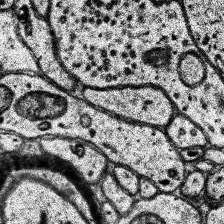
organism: Human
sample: Temporal Lobe